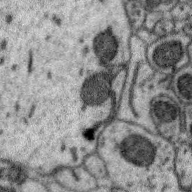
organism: Zebra finch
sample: Brain